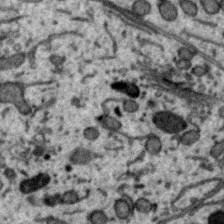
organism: Zebra finch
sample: Brain